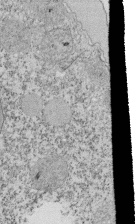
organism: Tetrahymena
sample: Cilia in tetrahymena